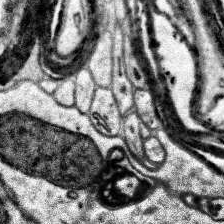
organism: Human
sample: Temporal Lobe